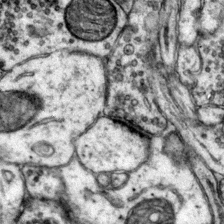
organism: Mouse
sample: Primary visual cortex